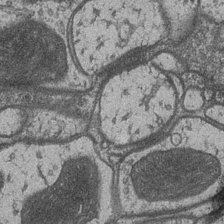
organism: Drosophila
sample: Optic medulla